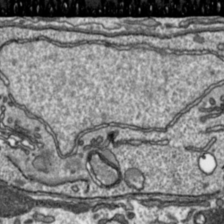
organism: Toxoplasma gondii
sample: Parasites in a vacuole inside a host cell